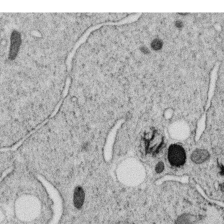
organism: C. elegans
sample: C. elegans oocyte; sperm cells